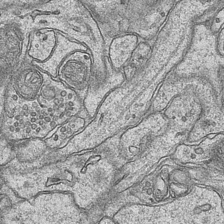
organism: Mouse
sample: CA1 Hippocampus